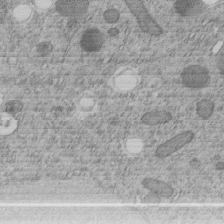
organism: C. elegans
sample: C. elegans embryo early stage